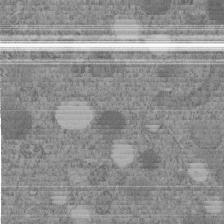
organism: C. elegans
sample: C. elegans embryo early stage